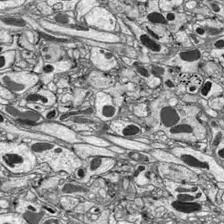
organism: Drosophila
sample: Optic lobe